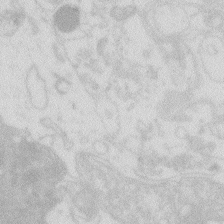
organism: Zebrafish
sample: Macrophage